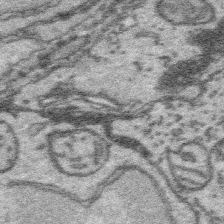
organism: Platynereis dumerilii